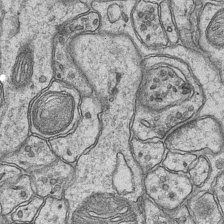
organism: Mouse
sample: CA1 Hippocampus